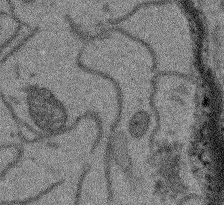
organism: Arabidopsis thaliana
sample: Root tip